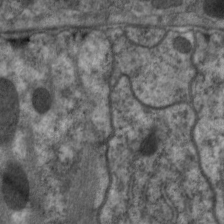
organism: C. elegans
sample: Pharynx